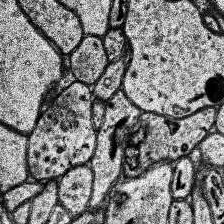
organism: Human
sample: Temporal Lobe